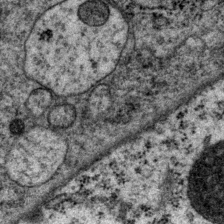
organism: P. pacificus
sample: Pharynx